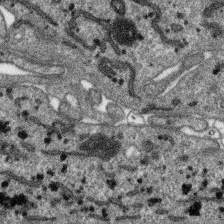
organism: Human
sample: Lung epithelial cells infected with SARS-CoV-2